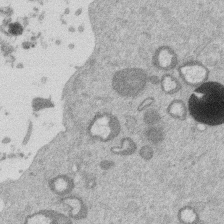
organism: Mouse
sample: Dividing mouse embryo 1 cell stage